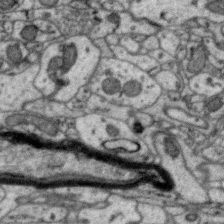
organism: Zebra finch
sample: Brain